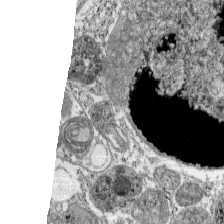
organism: C57BL Mouse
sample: Pancreatic islet